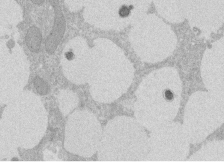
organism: Rat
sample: Salivary granule